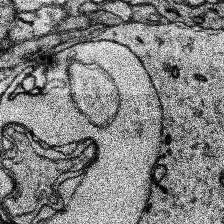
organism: Human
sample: Temporal Lobe